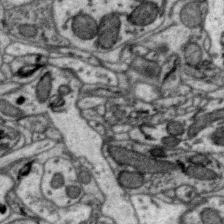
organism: Zebra finch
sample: Brain